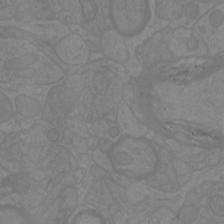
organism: Mouse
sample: Cortical neurons